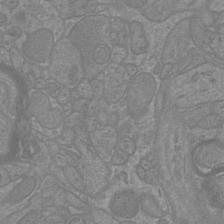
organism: Mouse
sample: Cortical neurons